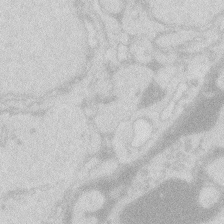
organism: Zebrafish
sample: Macrophage